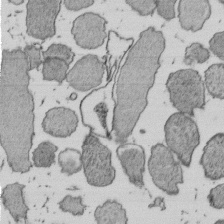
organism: E. coli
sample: Bacterial nucleoid